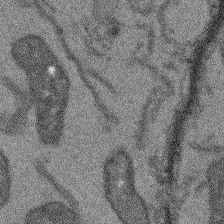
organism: Arabidopsis thaliana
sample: Root tip